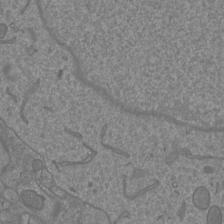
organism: Mouse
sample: Cortical neurons